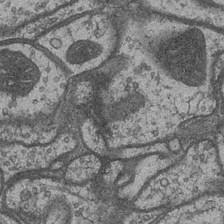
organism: Drosophila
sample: Optic medulla